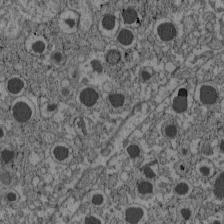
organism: C57BL Mouse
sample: Pancreatic islet